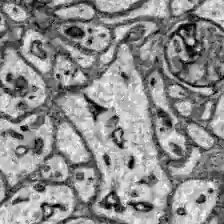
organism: Zebrafish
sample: Brain